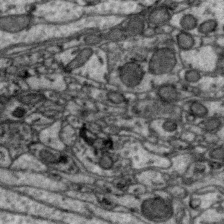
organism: Zebra finch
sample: Brain